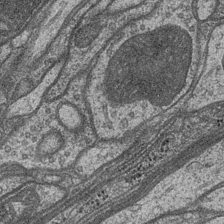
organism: Drosophila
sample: Optic medulla